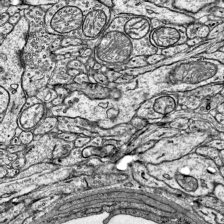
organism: Mouse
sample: Visual Cortex